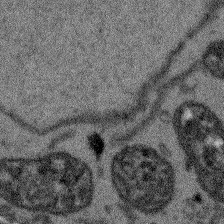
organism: Arabidopsis thaliana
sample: Root tip